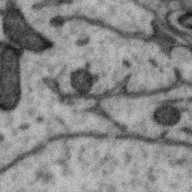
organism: Zebra finch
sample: Brain